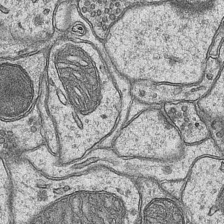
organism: Mouse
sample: CA1 Hippocampus